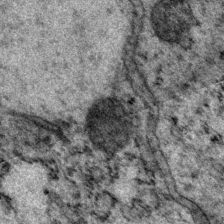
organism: P. pacificus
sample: Pharynx